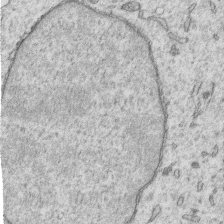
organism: Human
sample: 1205lu cells